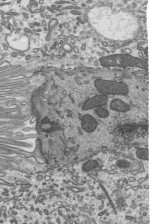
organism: Mouse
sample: Mouse epididymis efferent ductule cilia